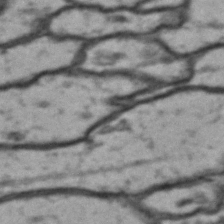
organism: Drosophila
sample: Brain